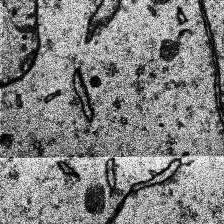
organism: Human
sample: Temporal Lobe